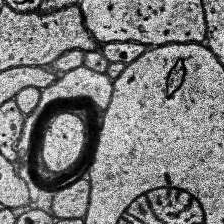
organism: Human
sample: Temporal Lobe